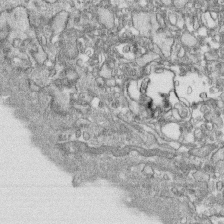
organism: Human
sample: CRL-1474